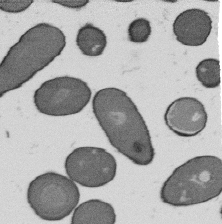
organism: B. subtilis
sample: Bacterial spore